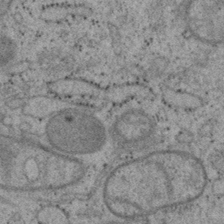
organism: Human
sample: HeLa cells